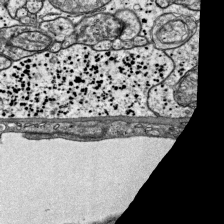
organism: Mouse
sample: Visual Cortex